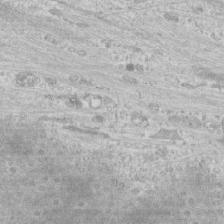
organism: Human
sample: CRL-1474